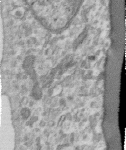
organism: Human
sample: Centriole in RPE cells